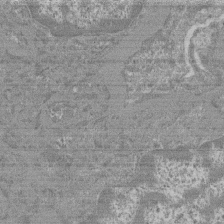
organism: Mouse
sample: Glomerulus